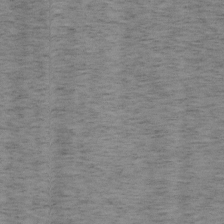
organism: Mouse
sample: OT-I killer T cells with ID8 ovarian cancer cells